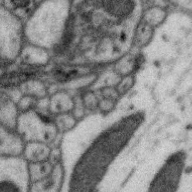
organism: Zebra finch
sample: Brain